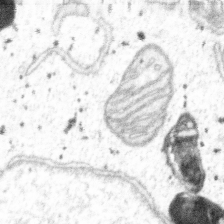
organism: Human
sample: HeLa cells